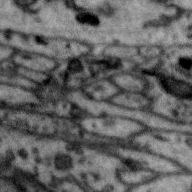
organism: Zebra finch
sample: Brain